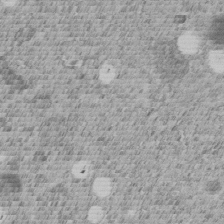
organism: C. elegans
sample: C. elegans embryo early stage